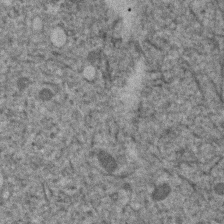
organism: Human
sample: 1205lu cells